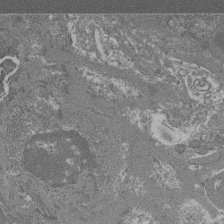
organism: Mouse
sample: Glomerulus